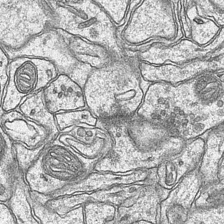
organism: Mouse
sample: CA1 Hippocampus